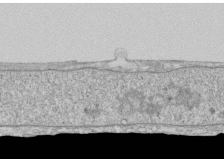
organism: Human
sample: CRL-1474